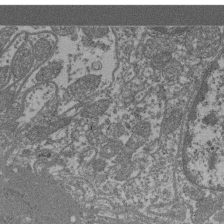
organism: Mouse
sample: Glomerulus